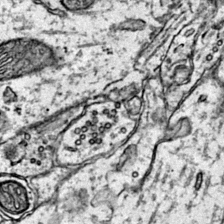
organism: Mouse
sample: Primary visual cortex